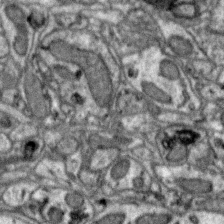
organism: Zebra finch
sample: Brain